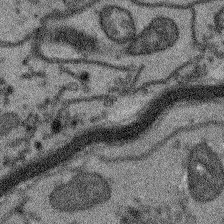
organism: Arabidopsis thaliana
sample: Root tip